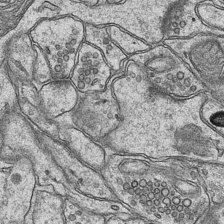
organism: Mouse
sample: CA1 Hippocampus